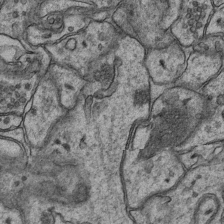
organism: Mouse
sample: CA1 Hippocampus